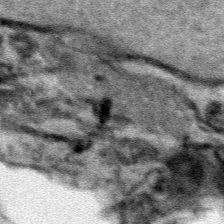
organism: Human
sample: Mitochondria in HCT116 cells